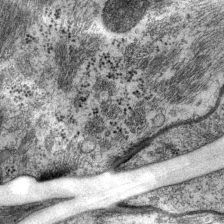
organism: P. pacificus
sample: Pharynx